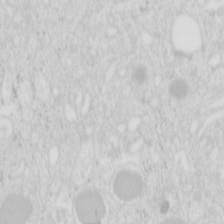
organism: Mouse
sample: Pancreas